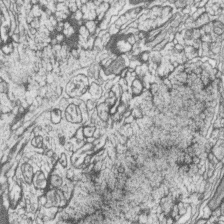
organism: Zebrafish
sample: synaptic ribbons in rod cells and cone cells